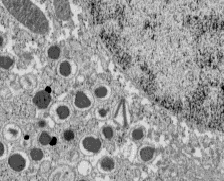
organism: C57BL Mouse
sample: Pancreatic islet